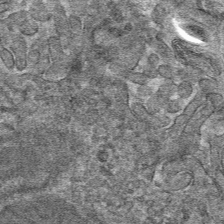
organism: Mouse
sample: Mouse hepatocytes